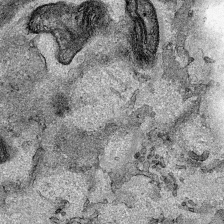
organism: Human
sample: Mitochondria in HCT116 cells